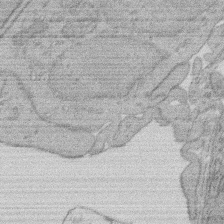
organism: Rat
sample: Salivary granule